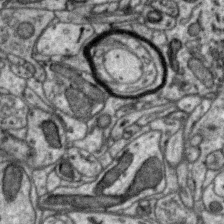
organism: Zebra finch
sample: Brain